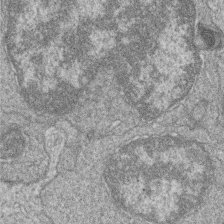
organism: Zebrafish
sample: Cilia; retinal pigment epithelium